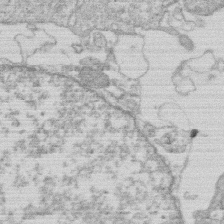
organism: Human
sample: Macrophage cells